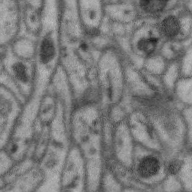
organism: Zebra finch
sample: Brain